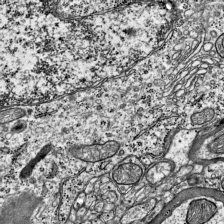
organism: Mouse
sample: Visual Cortex